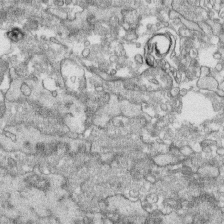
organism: Human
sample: CRL-1474